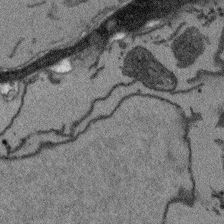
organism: Arabidopsis thaliana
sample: Root tip